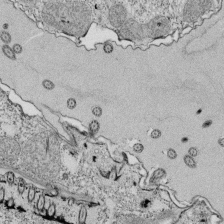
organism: Tetrahymena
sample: Cilia in tetrahymena